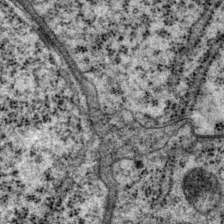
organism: P. pacificus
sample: Pharynx